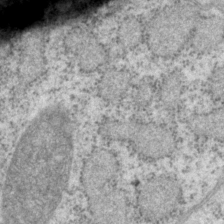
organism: P. pacificus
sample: Pharynx